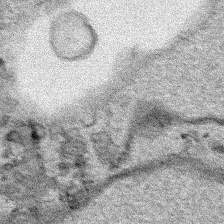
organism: Human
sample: Mitochondria in HCT116 cells